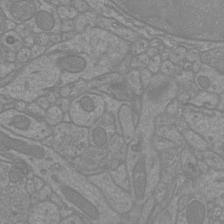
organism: Mouse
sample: Cortical neurons